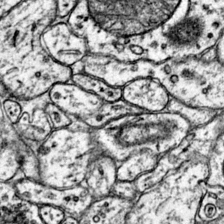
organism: Mouse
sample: Primary visual cortex